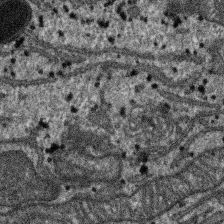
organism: Human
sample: Lung epithelial cells infected with SARS-CoV-2